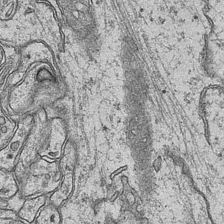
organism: Mouse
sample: CA1 Hippocampus